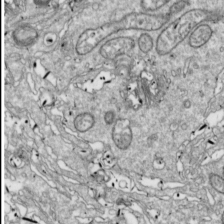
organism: Drosophila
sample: Cell division; meiosis; drosophila spermatocytes